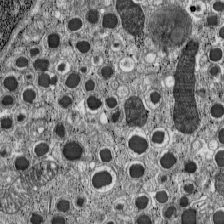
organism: C57BL Mouse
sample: Pancreatic islet